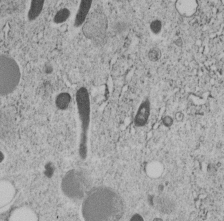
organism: C. elegans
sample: C. elegans embryo early stage